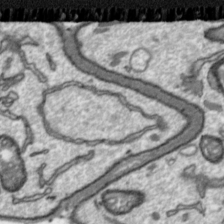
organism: Toxoplasma gondii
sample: Parasites in a vacuole inside a host cell